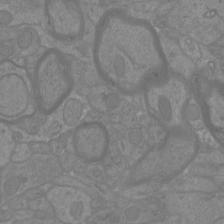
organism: Mouse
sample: Cortical neurons